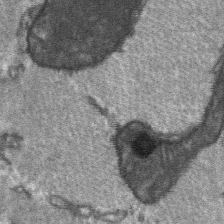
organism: C57BL Mouse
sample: Soleus